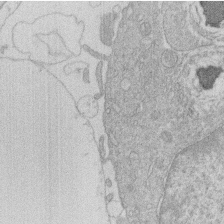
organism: Human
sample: Macrophage cells